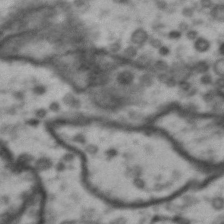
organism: Drosophila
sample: Brain